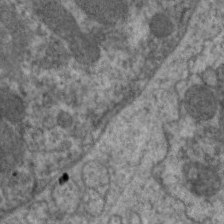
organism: C. elegans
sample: Pharynx